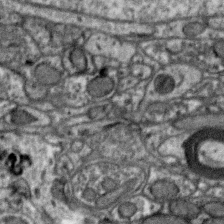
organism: Zebra finch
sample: Brain